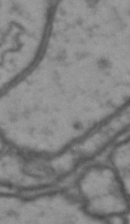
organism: Drosophila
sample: Brain